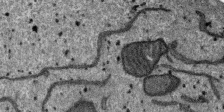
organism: Human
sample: Lung epithelial cells, uninfected (mock) control